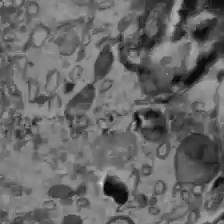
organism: C57BL Mouse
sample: Liver